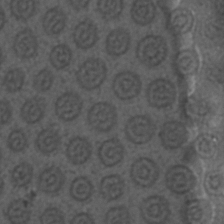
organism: C. elegans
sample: C. elegans embryo